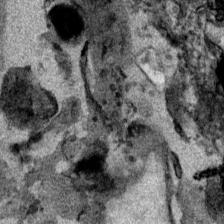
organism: Mouse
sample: Cancer cell death in ED-1 cells